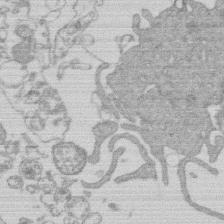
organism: Human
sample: Macrophage cells